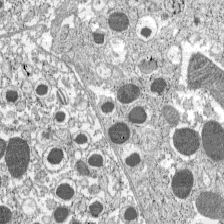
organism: C57BL Mouse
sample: Pancreatic islet